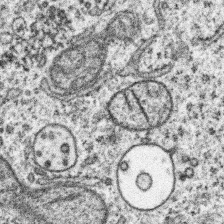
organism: Human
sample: HeLa cells